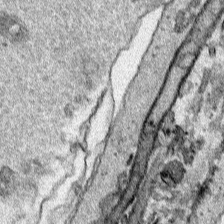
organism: Human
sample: Mitochondria in HCT116 cells